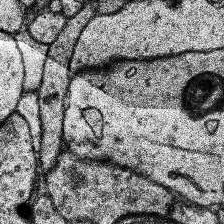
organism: Human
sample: Temporal Lobe